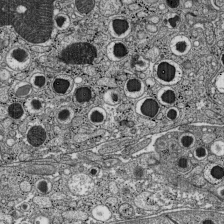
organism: C57BL Mouse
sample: Pancreatic islet